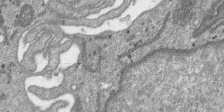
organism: Human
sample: Lung epithelial cells infected with SARS-CoV-2